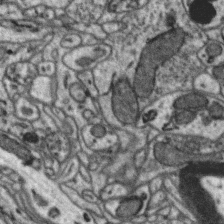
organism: Zebra finch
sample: Brain